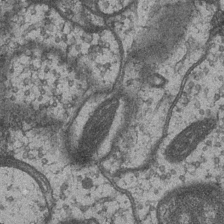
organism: Drosophila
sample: Optic medulla